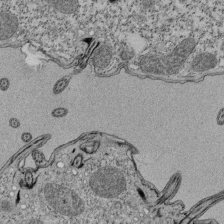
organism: Tetrahymena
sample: Cilia in tetrahymena